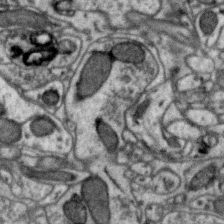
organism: Zebra finch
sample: Brain